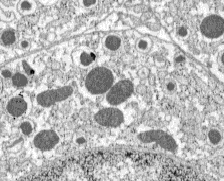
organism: C57BL Mouse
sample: Pancreatic islet